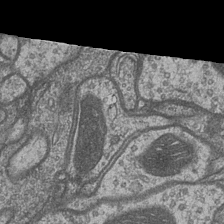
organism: Drosophila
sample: Optic medulla